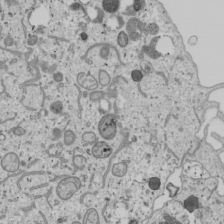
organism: Human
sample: Mitochondria in U2OS cells